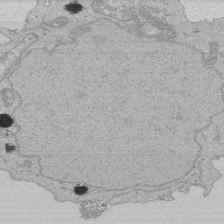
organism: Human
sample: Activated Jurkat CD4+ T cells